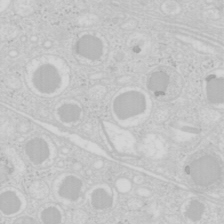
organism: Mouse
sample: Pancreas